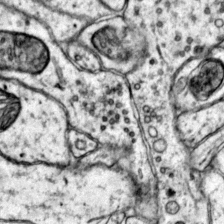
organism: Mouse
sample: Primary visual cortex